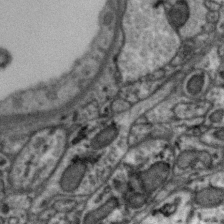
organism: Zebra finch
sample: Brain